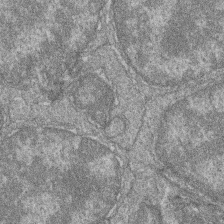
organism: Zebrafish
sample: Cilia; retinal pigment epithelium